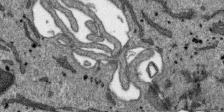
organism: Human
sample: Lung epithelial cells, uninfected (mock) control